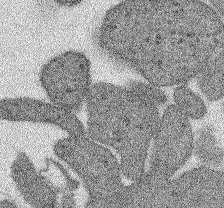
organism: Human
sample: HeLa cells